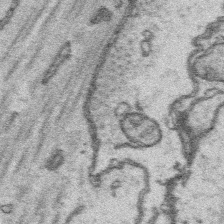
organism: Platynereis dumerilii